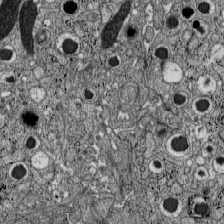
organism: C57BL Mouse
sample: Pancreatic islet